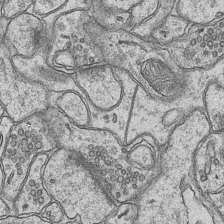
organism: Mouse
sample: CA1 Hippocampus